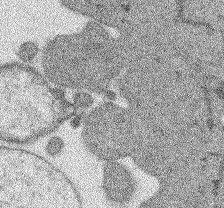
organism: Human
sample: HeLa cells